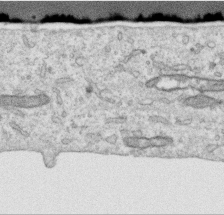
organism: Human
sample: Centriole in RPE cells